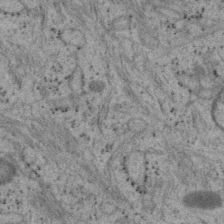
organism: Human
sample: HeLa cells